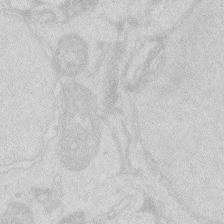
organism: Zebrafish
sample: Macrophage